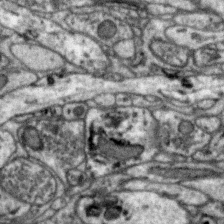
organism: Zebra finch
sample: Brain